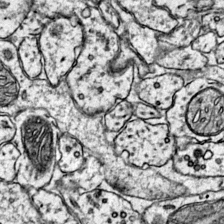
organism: Mouse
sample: Primary visual cortex